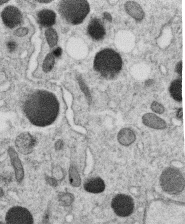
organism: C. elegans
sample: C. elegans oocyte; sperm cells